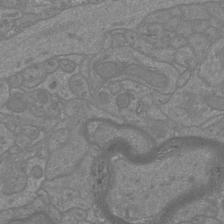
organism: Mouse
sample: Cortical neurons